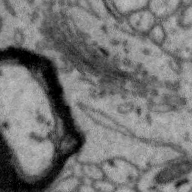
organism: Zebra finch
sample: Brain